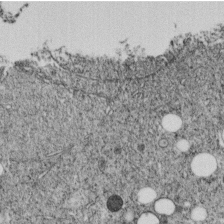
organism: C. elegans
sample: C. elegans embryo early stage